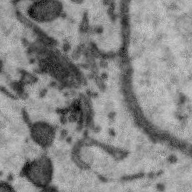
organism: Zebra finch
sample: Brain